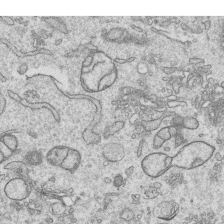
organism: Human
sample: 1205lu cells